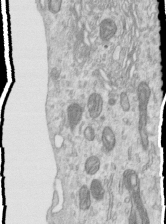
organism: Human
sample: Centriole in RPE cells